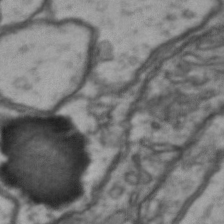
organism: Drosophila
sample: Brain